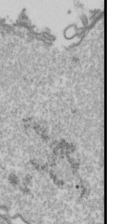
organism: Drosophila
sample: Cell division; meiosis; drosophila spermatocytes